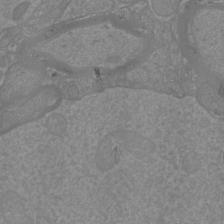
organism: Mouse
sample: Cortical neurons